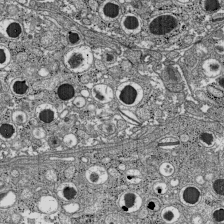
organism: C57BL Mouse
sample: Pancreatic islet